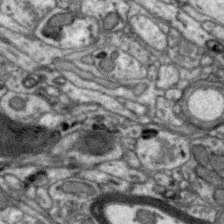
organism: Zebra finch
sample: Brain